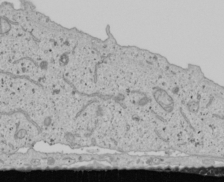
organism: Human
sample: Mitochondria in U2OS cells